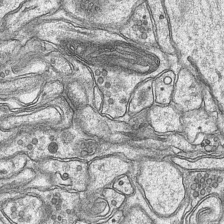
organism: Mouse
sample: CA1 Hippocampus